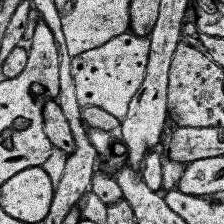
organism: Human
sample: Temporal Lobe